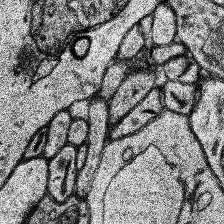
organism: Human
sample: Temporal Lobe